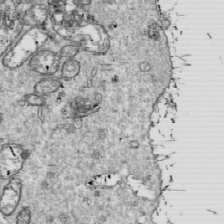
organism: Drosophila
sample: Cell division; meiosis; drosophila spermatocytes